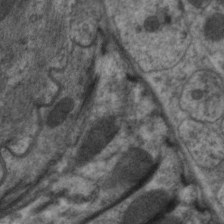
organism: C. elegans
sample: Pharynx